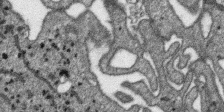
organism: Human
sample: Lung epithelial cells infected with SARS-CoV-2